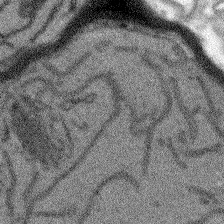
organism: Arabidopsis thaliana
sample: Root tip